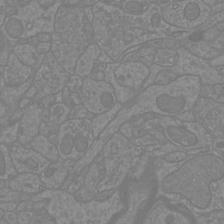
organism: Mouse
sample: Cortical neurons